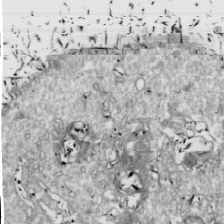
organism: Drosophila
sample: Cell division; meiosis; drosophila spermatocytes